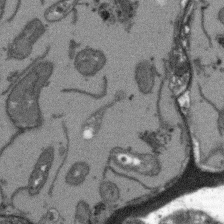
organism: Arabidopsis thaliana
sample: Root tip